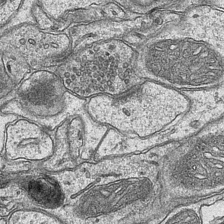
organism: Mouse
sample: CA1 Hippocampus